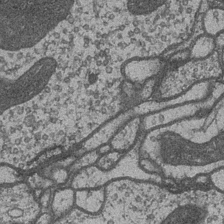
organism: Drosophila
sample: Optic medulla